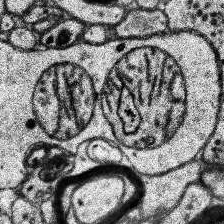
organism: Human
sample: Temporal Lobe